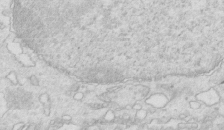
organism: Mouse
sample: Multiciliated cells